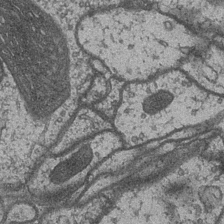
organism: Drosophila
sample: Optic medulla